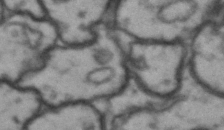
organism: Drosophila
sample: Brain